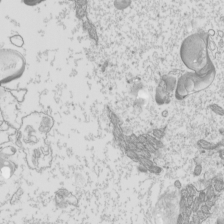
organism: Mouse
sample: Cilia; mouse epididymis